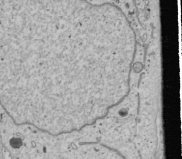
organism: Human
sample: Mitochondria in U2OS cells